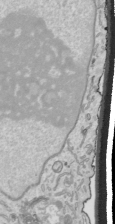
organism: Human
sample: Mitochondria in HCT116 cells